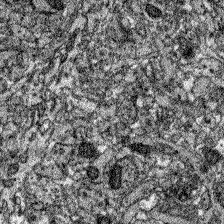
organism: Zebrafish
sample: Larval olfactory bulb